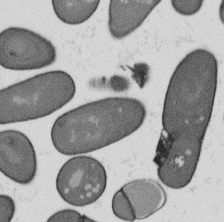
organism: B. subtilis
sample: Bacterial spore